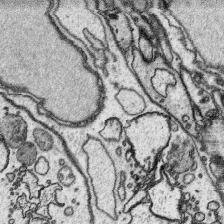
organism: Platynereis dumerilii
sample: Parapodia